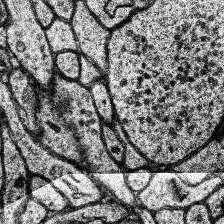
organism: Human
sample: Temporal Lobe